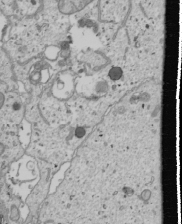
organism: Human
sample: Mitochondria in U2OS cells